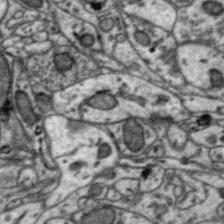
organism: Zebra finch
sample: Brain